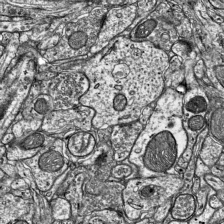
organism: Mouse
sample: Visual Cortex